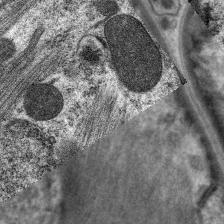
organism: C. elegans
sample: Pharynx